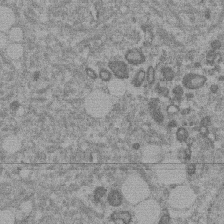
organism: Mouse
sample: Dividing mouse embryo 1 cell stage